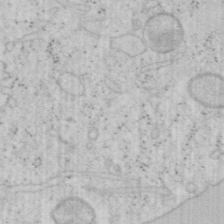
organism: Human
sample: HeLa cells